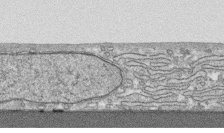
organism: Human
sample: CRL-1474